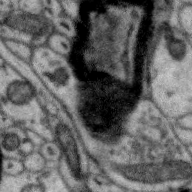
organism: Zebra finch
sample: Brain